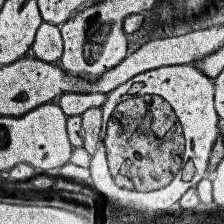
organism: Human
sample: Temporal Lobe